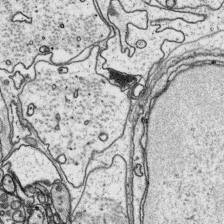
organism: Platynereis dumerilii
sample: Parapodia